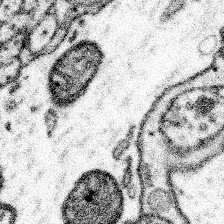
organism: Mouse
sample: Somatosensory cortex neuropil